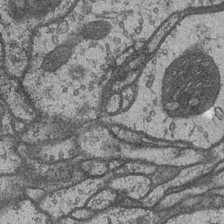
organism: Drosophila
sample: Optic medulla